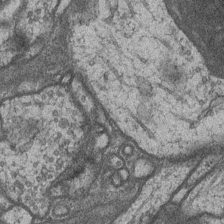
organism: Drosophila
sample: Optic medulla